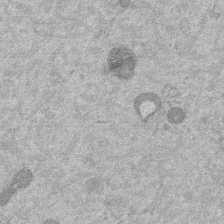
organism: Mouse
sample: Dividing mouse embryo 1 cell stage